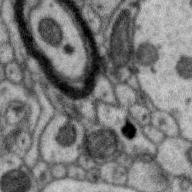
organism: Zebra finch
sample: Brain